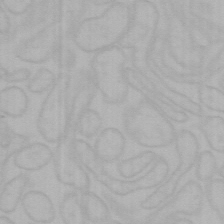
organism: Mouse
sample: Choroid plexus